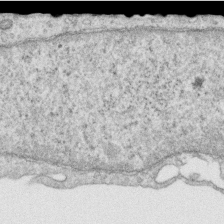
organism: Human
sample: Centriole in RPE cells